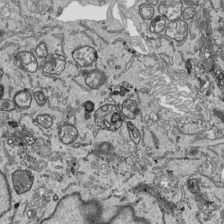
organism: Human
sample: Mitochondria in HCT116 cells